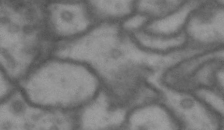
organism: Drosophila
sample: Brain